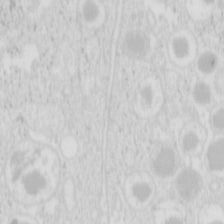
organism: Mouse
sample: Pancreas